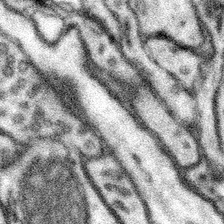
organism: Mouse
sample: Somatosensory cortex neuropil